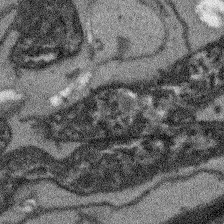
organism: Arabidopsis thaliana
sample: Root tip